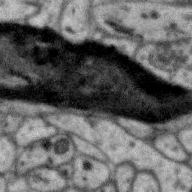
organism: Zebra finch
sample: Brain